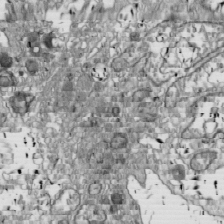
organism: Drosophila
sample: Cell division; meiosis; drosophila spermatocytes